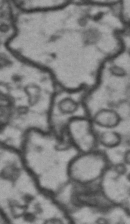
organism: Drosophila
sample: Brain